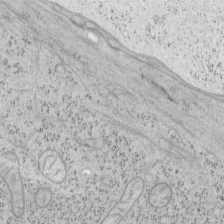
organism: Mouse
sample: OT-I killer T cells with ID8 ovarian cancer cells